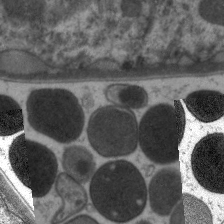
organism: C. elegans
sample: Pharynx